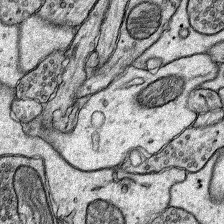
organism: Rat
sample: Hippocampus